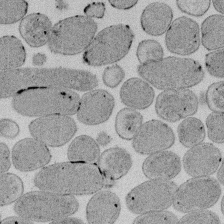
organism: E. coli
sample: Bacterial nucleoid